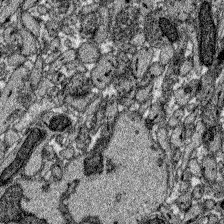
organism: Zebrafish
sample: Larval olfactory bulb